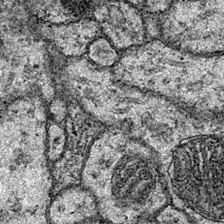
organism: Drosophila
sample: Ventral Nerve Cord